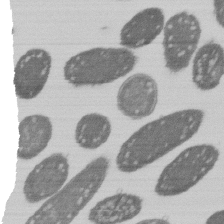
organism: E. coli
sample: Bacterial nucleoid